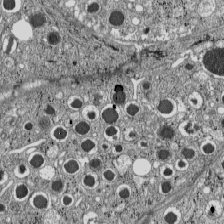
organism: C57BL Mouse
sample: Pancreatic islet